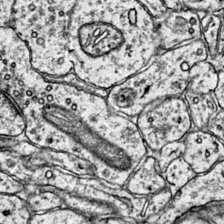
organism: Mouse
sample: Primary visual cortex